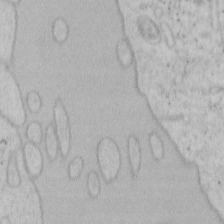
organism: Human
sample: HeLa cells